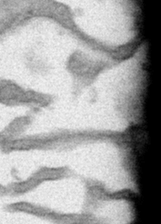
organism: Human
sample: Mitochondria in HCT116 cells